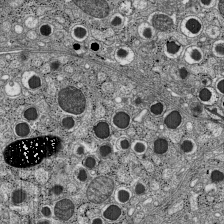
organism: C57BL Mouse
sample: Pancreatic islet